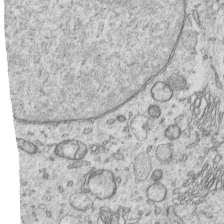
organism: Human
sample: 1205lu cells